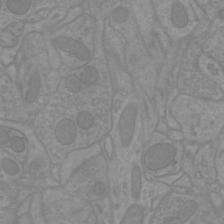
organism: Mouse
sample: Cortical neurons